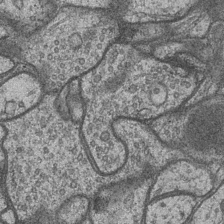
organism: Drosophila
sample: Optic medulla